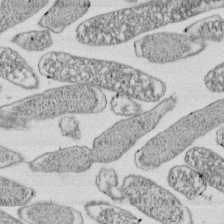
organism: E. coli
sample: Bacterial nucleoid